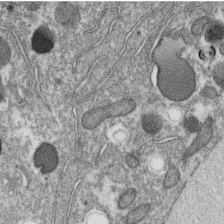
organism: C. elegans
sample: C. elegans oocyte; sperm cells